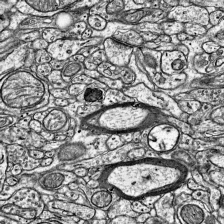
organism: Mouse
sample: Visual Cortex